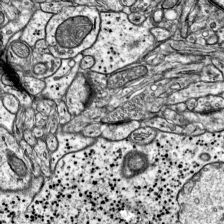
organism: Mouse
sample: Visual Cortex